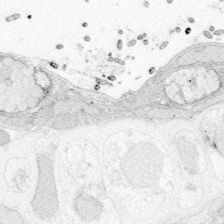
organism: Zebrafish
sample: Whole-Brain